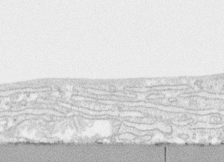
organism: Human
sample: CRL-1474